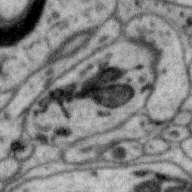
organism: Zebra finch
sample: Brain